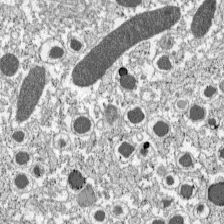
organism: C57BL Mouse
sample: Pancreatic islet